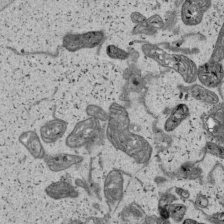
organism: Human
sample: Mitochondria in HCT116 cells